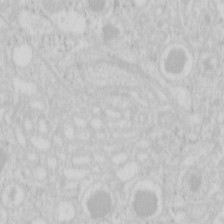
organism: Mouse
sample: Pancreas